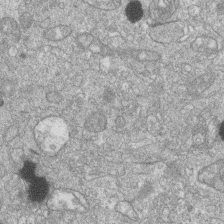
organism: Human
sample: HeLa cell HIV synapse